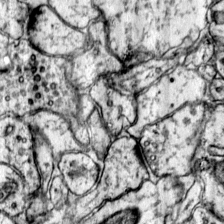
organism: Mouse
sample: Primary visual cortex